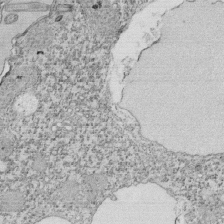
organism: Tetrahymena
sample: Cilia in tetrahymena